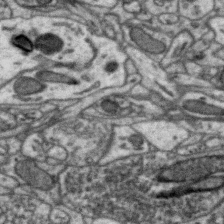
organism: Zebra finch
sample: Brain